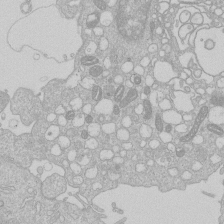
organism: Human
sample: Macrophage cells